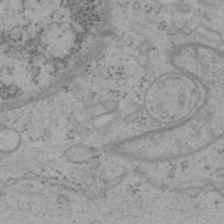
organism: Human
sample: HeLa cells